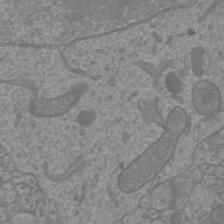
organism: Mouse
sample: Cortical neurons